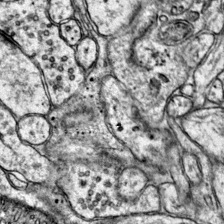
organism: Mouse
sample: Primary visual cortex